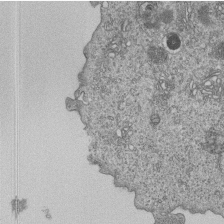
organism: Human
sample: MDA-MB-231 cells